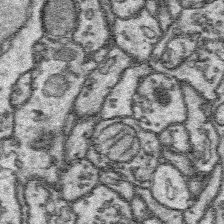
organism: Platynereis dumerilii